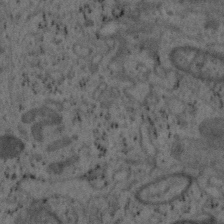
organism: Human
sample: HeLa cells